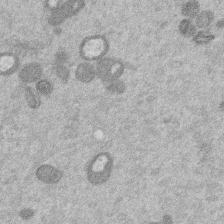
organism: Mouse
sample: Dividing mouse embryo 1 cell stage